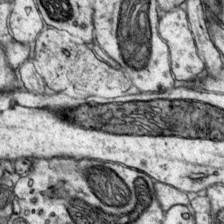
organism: Mouse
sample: Primary visual cortex